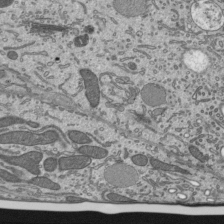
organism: Mouse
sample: Mouse epididymis efferent ductule cilia